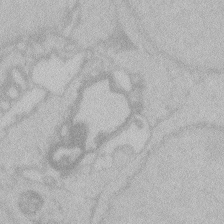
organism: Zebrafish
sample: Macrophage infected with Toxoplasma gondii